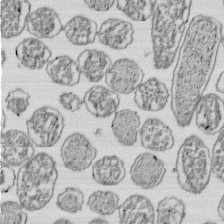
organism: E. coli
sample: Bacterial nucleoid